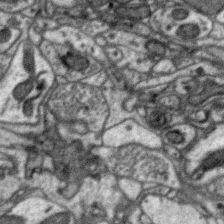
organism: Zebra finch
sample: Brain